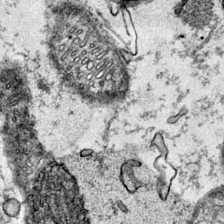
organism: Mouse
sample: Primary visual cortex